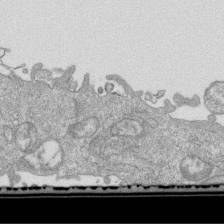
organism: Human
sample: HeLa cell HIV synapse